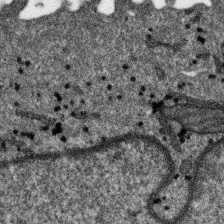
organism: Human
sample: Lung epithelial cells infected with SARS-CoV-2